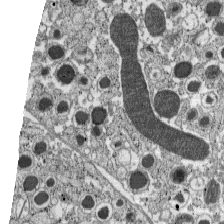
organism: C57BL Mouse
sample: Pancreatic islet